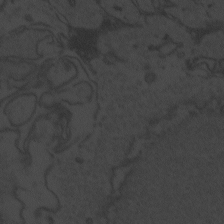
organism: Zebrafish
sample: Macrophage infected with Toxoplasma gondii